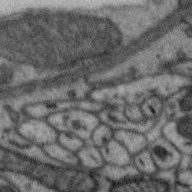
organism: Zebra finch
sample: Brain